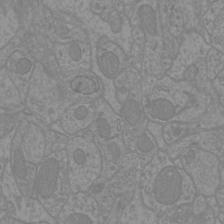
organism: Mouse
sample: Cortical neurons